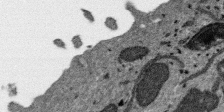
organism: Human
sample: Lung epithelial cells, uninfected (mock) control